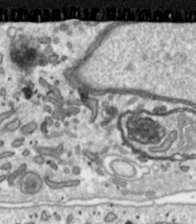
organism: Toxoplasma gondii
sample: Parasites in a vacuole inside a host cell